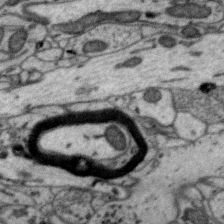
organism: Zebra finch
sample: Brain